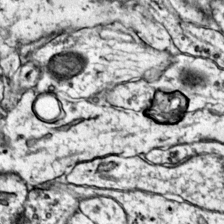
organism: Mouse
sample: Primary visual cortex